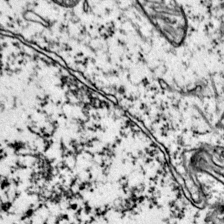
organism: Mouse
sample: Primary visual cortex